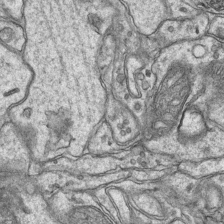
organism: Mouse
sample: CA1 Hippocampus